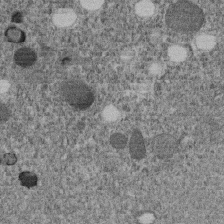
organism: C. elegans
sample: C. elegans embryo early stage